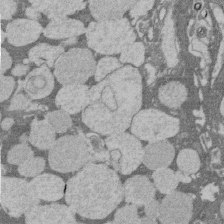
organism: Rat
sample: Salivary granule